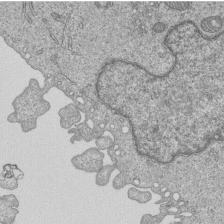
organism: Human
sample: MDA-MB-231 cells